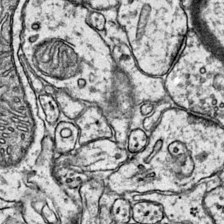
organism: Mouse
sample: Primary visual cortex